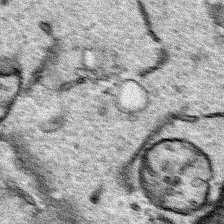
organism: Human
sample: Mitochondria in HCT116 cells